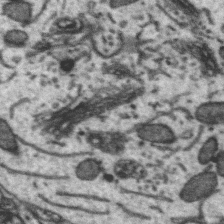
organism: Zebra finch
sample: Brain